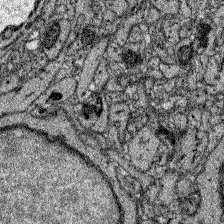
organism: Zebrafish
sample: Larval olfactory bulb